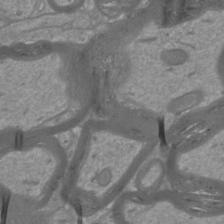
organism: Mouse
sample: Cortical neurons